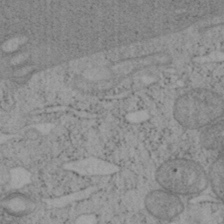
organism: Mouse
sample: OT-I killer T cells with ID8 ovarian cancer cells